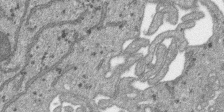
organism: Human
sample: Lung epithelial cells infected with SARS-CoV-2